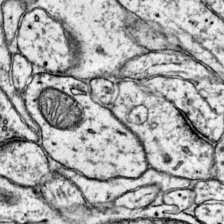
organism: Mouse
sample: Primary visual cortex